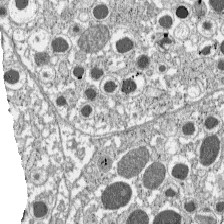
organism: C57BL Mouse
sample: Pancreatic islet